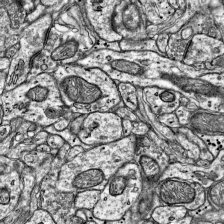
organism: Mouse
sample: Visual Cortex